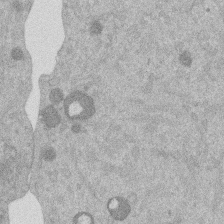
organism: Mouse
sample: Dividing mouse embryo 1 cell stage